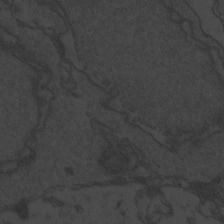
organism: Zebrafish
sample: Macrophage infected with Toxoplasma gondii